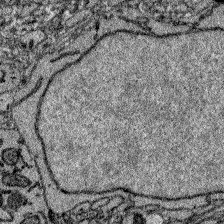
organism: Zebrafish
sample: Larval olfactory bulb